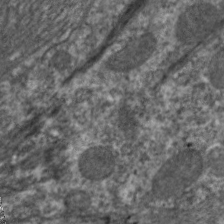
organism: C. elegans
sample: Pharynx